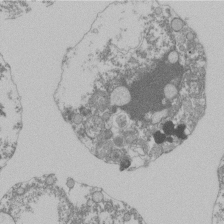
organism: Mouse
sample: Activated Pmel transgenic CD8+ T Cells